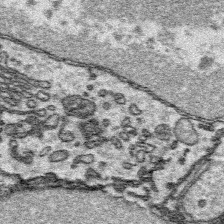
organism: Platynereis dumerilii